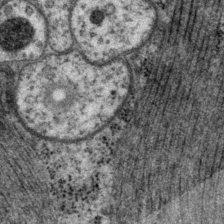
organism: P. pacificus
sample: Pharynx